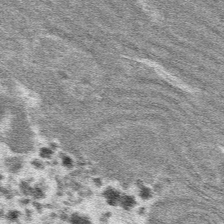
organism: Mouse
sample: Mouse hepatocytes